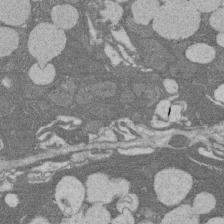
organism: Rat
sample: Salivary granule